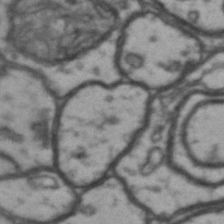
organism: Drosophila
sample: Brain